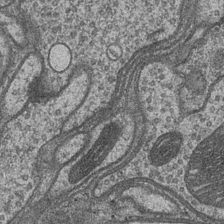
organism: Drosophila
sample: Optic medulla